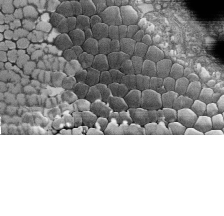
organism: Tetrahymena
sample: Cilia in tetrahymena